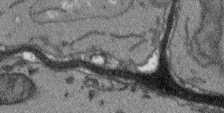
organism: Arabidopsis thaliana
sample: Root tip